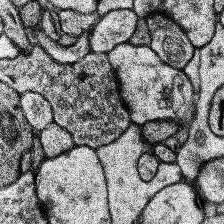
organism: Human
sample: Temporal Lobe